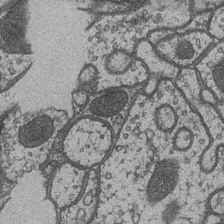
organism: Drosophila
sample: Optic medulla